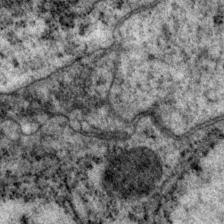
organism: P. pacificus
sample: Pharynx